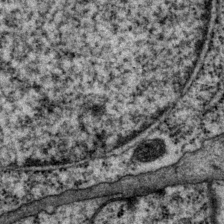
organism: P. pacificus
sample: Pharynx